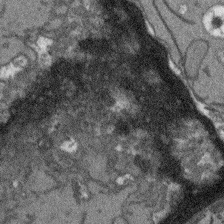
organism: Arabidopsis thaliana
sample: Root tip